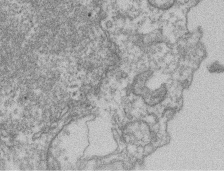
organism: Mouse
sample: T cell stromal cell synapse